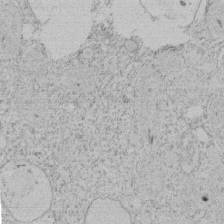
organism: Tetrahymena